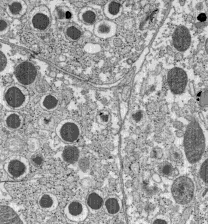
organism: C57BL Mouse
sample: Pancreatic islet